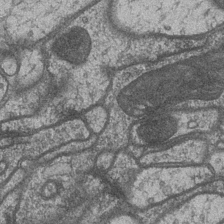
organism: Drosophila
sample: Optic medulla